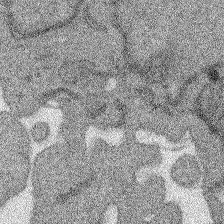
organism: Human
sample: HeLa cells